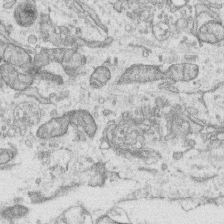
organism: Human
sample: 1205lu cells